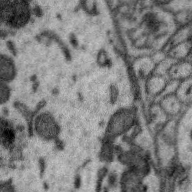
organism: Zebra finch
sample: Brain